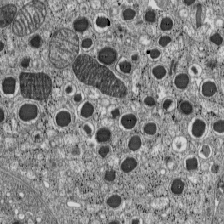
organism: C57BL Mouse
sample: Pancreatic islet